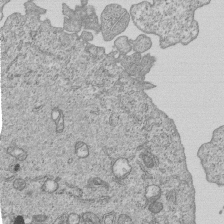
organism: Human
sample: MDA-MB-231 cells